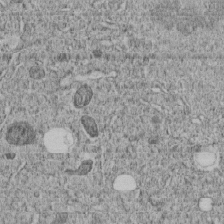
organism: C. elegans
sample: C. elegans embryo early stage